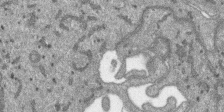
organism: Human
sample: Lung epithelial cells infected with SARS-CoV-2